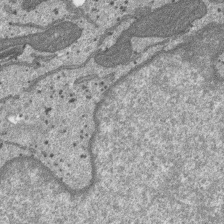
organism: Human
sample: Lung epithelial cells infected with SARS-CoV-2